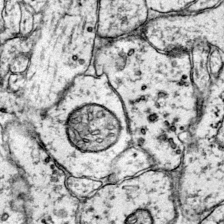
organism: Mouse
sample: Primary visual cortex